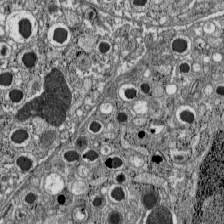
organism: C57BL Mouse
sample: Pancreatic islet